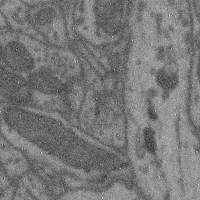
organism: Mouse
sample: Cerebral cortex